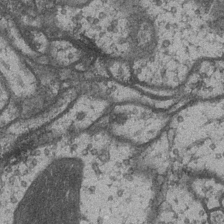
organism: Drosophila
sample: Optic medulla